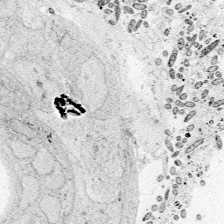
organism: Zebrafish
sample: Whole-Brain